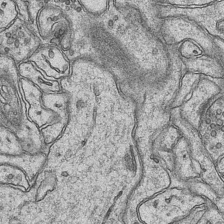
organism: Mouse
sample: CA1 Hippocampus